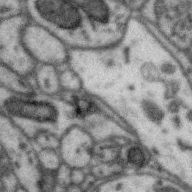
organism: Zebra finch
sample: Brain